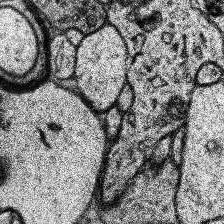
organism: Human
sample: Temporal Lobe